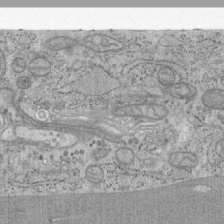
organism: Human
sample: HeLa cells